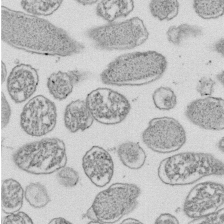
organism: E. coli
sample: Bacterial nucleoid